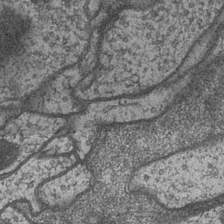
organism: Drosophila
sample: Optic medulla